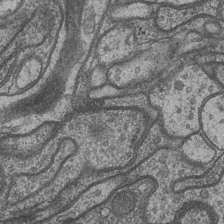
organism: Drosophila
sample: Optic medulla